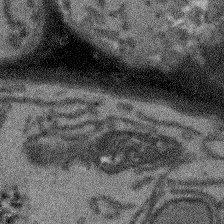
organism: Arabidopsis thaliana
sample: Root tip